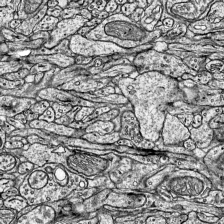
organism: Mouse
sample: Visual Cortex